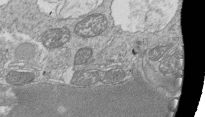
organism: Tetrahymena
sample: Cilia in tetrahymena